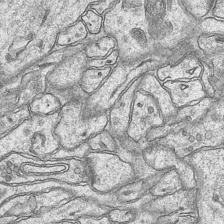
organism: Mouse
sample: CA1 Hippocampus